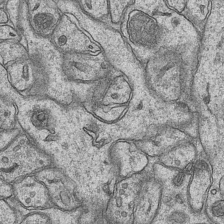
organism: Mouse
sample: CA1 Hippocampus